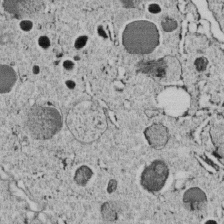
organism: C. elegans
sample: C. elegans embryo early stage